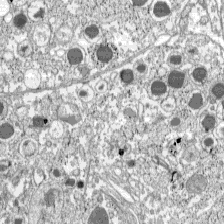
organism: C57BL Mouse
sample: Pancreatic islet